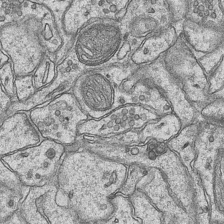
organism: Mouse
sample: CA1 Hippocampus